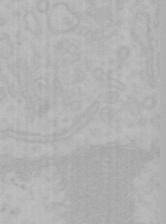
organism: Mouse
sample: Choroid plexus